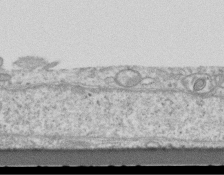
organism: Mouse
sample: Centriole in ependymal cells